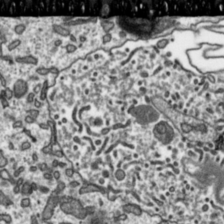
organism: Toxoplasma gondii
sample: Parasites in a vacuole inside a host cell